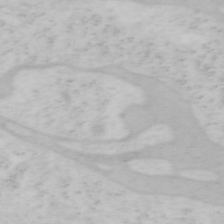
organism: Mouse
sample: OT-I killer T cells with ID8 ovarian cancer cells